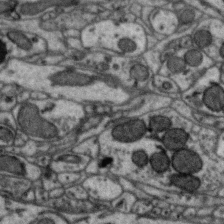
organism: Zebra finch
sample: Brain